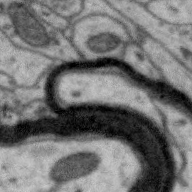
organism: Zebra finch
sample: Brain